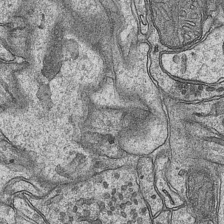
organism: Mouse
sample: CA1 Hippocampus